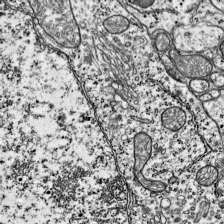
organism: Mouse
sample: Visual Cortex